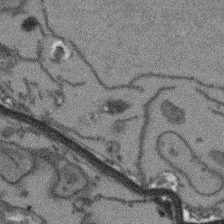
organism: Arabidopsis thaliana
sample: Root tip